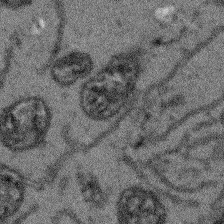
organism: Arabidopsis thaliana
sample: Root tip